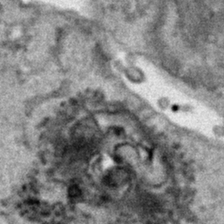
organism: Human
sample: Mitochondria in HCT116 cells